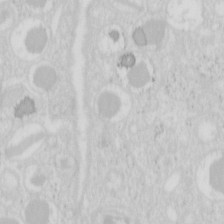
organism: Mouse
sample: Pancreas